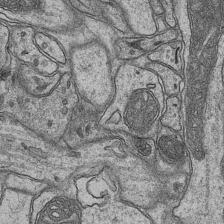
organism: Mouse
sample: CA1 Hippocampus